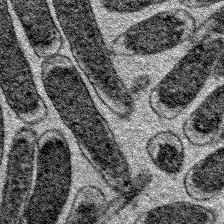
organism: E. coli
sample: E. Coli Bacteria